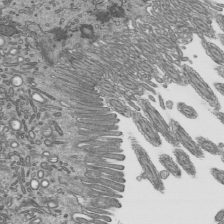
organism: Mouse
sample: Mouse epididymis efferent ductule cilia